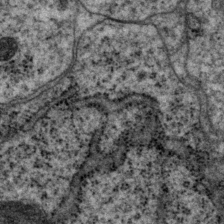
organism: P. pacificus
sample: Pharynx